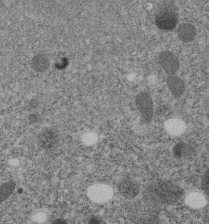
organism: C. elegans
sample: C. elegans embryo early stage